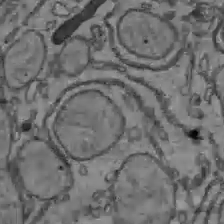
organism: C57BL Mouse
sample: Liver